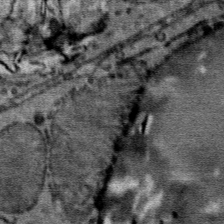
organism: Mouse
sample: Mouse Salivary gland